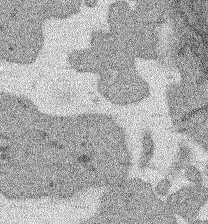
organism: Human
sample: HeLa cells